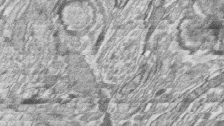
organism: Zebrafish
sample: synaptic ribbons in rod cells and cone cells